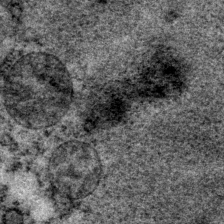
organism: P. pacificus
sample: Pharynx